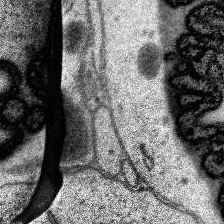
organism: Human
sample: Temporal Lobe